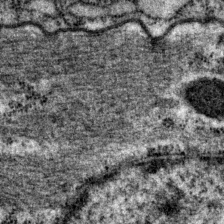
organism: P. pacificus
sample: Pharynx